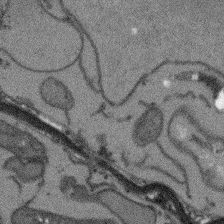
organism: Arabidopsis thaliana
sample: Root tip